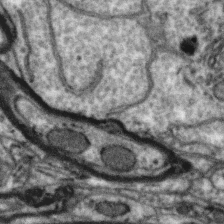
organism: Zebra finch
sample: Brain